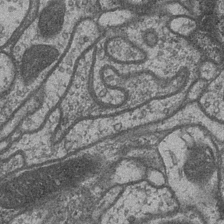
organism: Drosophila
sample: Optic medulla